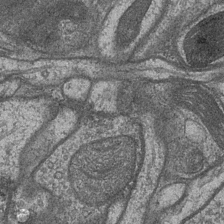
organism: Drosophila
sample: Optic medulla